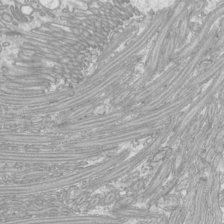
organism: Mouse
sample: Cilia; mouse epididymis